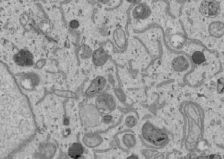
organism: Human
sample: Mitochondria in U2OS cells